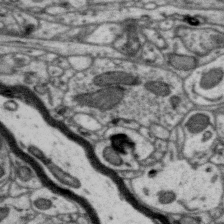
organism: Zebra finch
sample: Brain